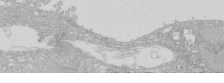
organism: Human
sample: Caco-2 cells